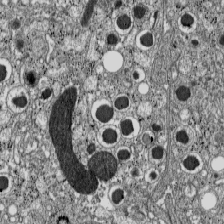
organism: C57BL Mouse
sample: Pancreatic islet